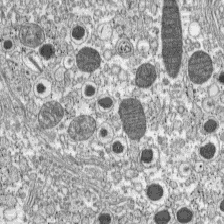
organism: C57BL Mouse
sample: Pancreatic islet